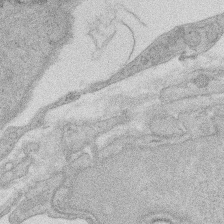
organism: Rat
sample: Salivary granule